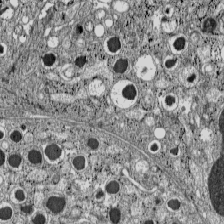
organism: C57BL Mouse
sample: Pancreatic islet